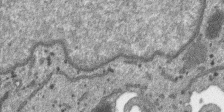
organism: Human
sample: Lung epithelial cells infected with SARS-CoV-2